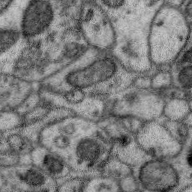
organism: Zebra finch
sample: Brain